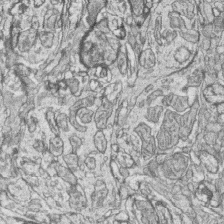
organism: Zebrafish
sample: synaptic ribbons in rod cells and cone cells